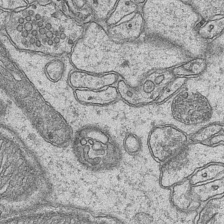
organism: Mouse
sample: CA1 Hippocampus